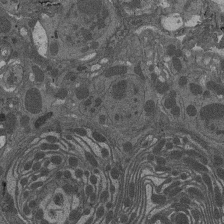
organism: Drosophila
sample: Antenna